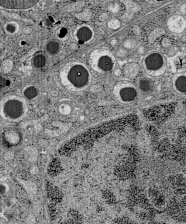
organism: C57BL Mouse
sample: Pancreatic islet